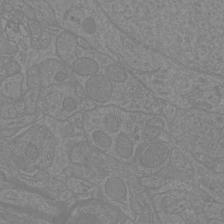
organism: Mouse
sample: Cortical neurons